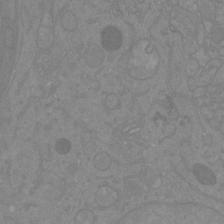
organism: Mouse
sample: Cortical neurons